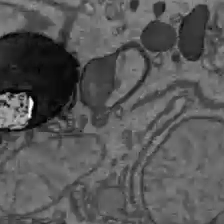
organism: C57BL Mouse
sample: Liver